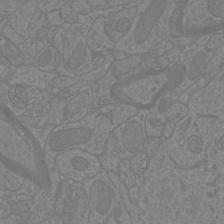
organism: Mouse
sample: Cortical neurons